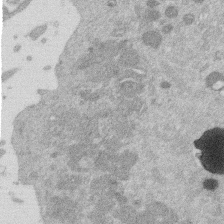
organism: Mouse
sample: Dividing mouse embryo 1 cell stage